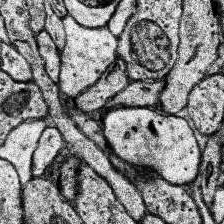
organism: Human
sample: Temporal Lobe